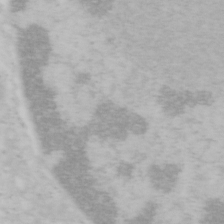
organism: Mouse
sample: OT-I killer T cells with ID8 ovarian cancer cells